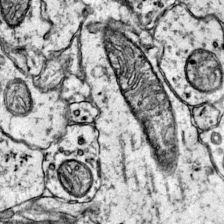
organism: Mouse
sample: Primary visual cortex